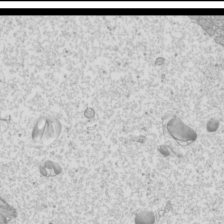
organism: Mouse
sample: Cilia; mouse epididymis